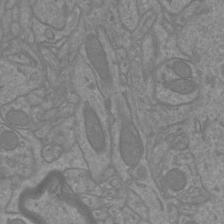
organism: Mouse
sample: Cortical neurons